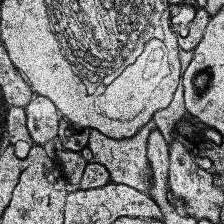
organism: Human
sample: Temporal Lobe